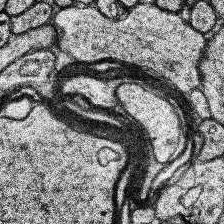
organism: Human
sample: Temporal Lobe